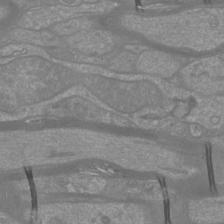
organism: Mouse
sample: Cortical neurons